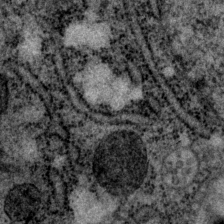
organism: P. pacificus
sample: Pharynx